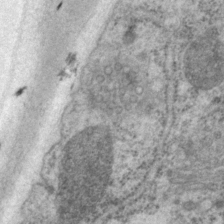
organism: P. pacificus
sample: Pharynx